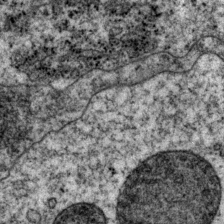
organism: P. pacificus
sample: Pharynx